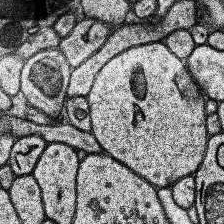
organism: Human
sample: Temporal Lobe